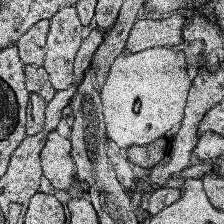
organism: Human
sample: Temporal Lobe